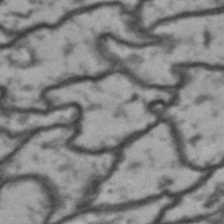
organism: Drosophila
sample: Brain